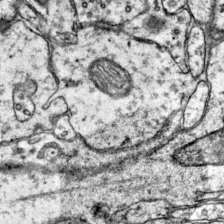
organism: Mouse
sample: Primary visual cortex